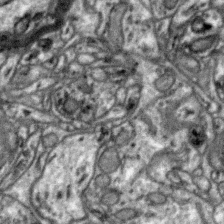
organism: Zebra finch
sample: Brain